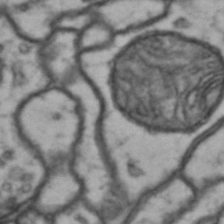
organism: Drosophila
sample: Brain